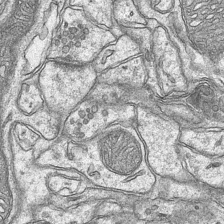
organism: Mouse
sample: CA1 Hippocampus